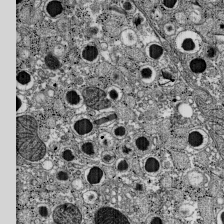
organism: C57BL Mouse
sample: Pancreatic islet